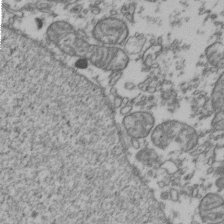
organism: Human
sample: Activated Jurkat CD4+ T cells